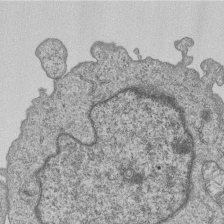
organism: Human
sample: MDA-MB-231 cells